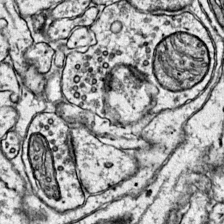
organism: Mouse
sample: Primary visual cortex